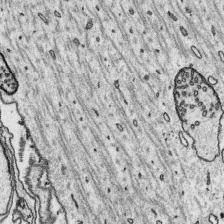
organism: Platynereis dumerilii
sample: Parapodia